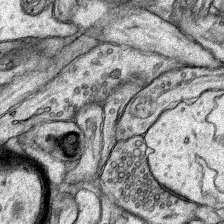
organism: Rat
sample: Hippocampus